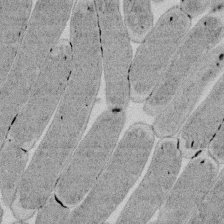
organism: E. coli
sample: Bacterial nucleoid